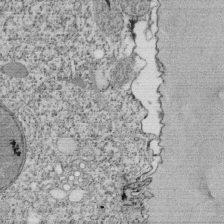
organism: Tetrahymena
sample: Cilia in tetrahymena